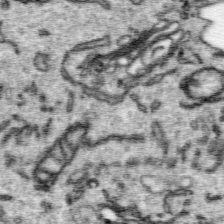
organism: Human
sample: HeLa cells